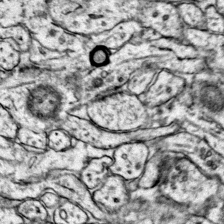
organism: Mouse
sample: Primary visual cortex